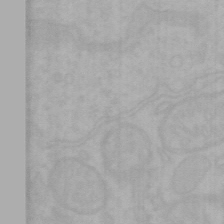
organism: Mouse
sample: Choroid plexus